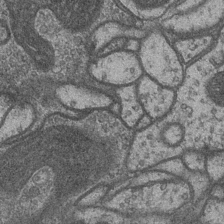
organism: Drosophila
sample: Optic medulla